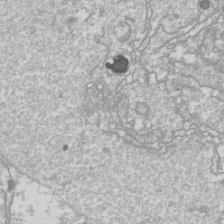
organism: Drosophila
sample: Cell division; meiosis; drosophila spermatocytes